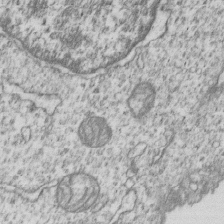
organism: Human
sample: MDA-MB-231 cells